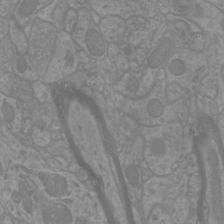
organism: Mouse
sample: Cortical neurons